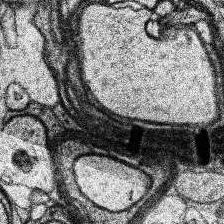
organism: Human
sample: Temporal Lobe